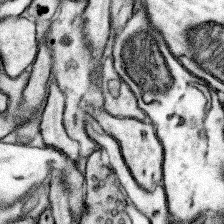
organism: Mouse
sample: Somatosensory cortex neuropil